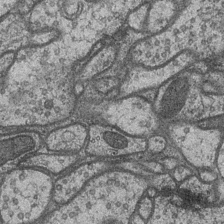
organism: Drosophila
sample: Optic medulla